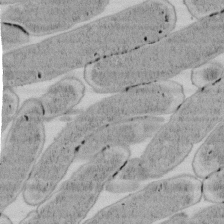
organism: E. coli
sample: Bacterial nucleoid